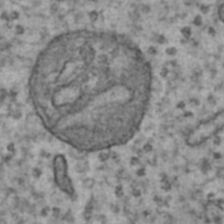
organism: Human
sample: Blood